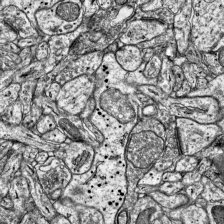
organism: Mouse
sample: Visual Cortex